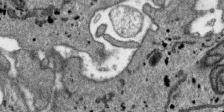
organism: Human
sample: Lung epithelial cells, uninfected (mock) control